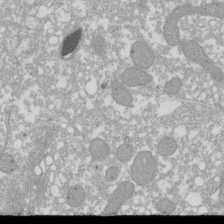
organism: Xenopus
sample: Cilia; centrioles in frog embryo cells